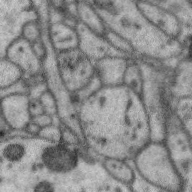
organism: Zebra finch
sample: Brain